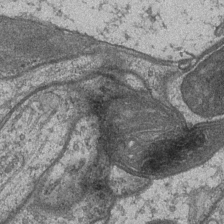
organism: Drosophila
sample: Optic medulla